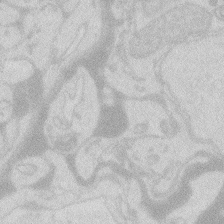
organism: Zebrafish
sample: Macrophage